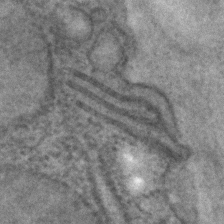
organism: C. elegans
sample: C. elegans embryo